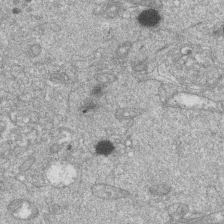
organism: Human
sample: HeLa cell HIV synapse